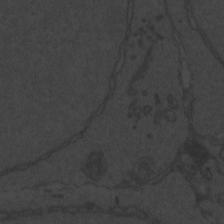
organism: Zebrafish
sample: Macrophage infected with Toxoplasma gondii